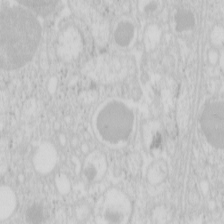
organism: Mouse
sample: Pancreas